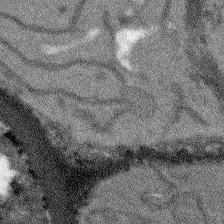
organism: Arabidopsis thaliana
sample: Root tip